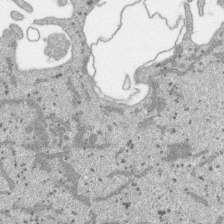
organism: Human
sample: Lung epithelial cells infected with SARS-CoV-2